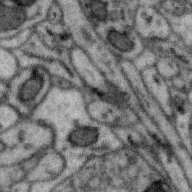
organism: Zebra finch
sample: Brain